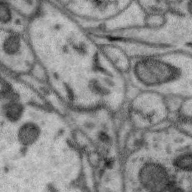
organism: Zebra finch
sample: Brain